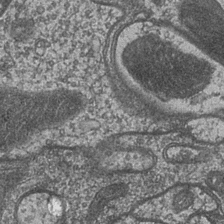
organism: Drosophila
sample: Optic medulla